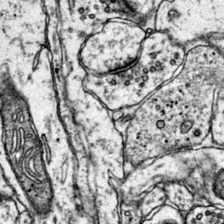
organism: Mouse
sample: Primary visual cortex